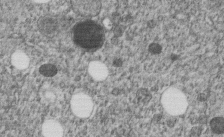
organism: C. elegans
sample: C. elegans embryo early stage